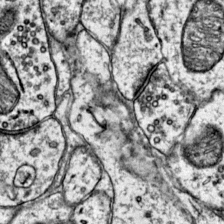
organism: Mouse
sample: Primary visual cortex